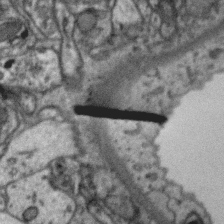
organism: Zebra finch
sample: Brain